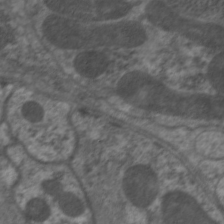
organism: C. elegans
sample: Pharynx